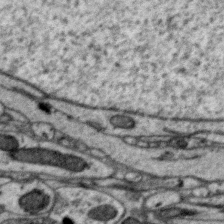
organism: Zebra finch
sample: Brain